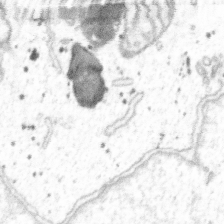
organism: Human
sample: HeLa cells